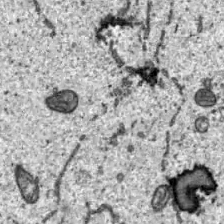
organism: Human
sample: HeLa cells